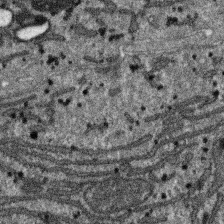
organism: Human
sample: Lung epithelial cells infected with SARS-CoV-2